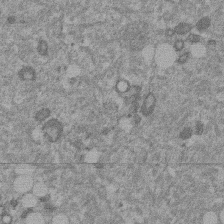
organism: Mouse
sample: Dividing mouse embryo 1 cell stage